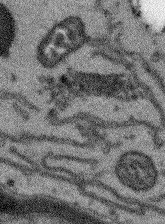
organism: Arabidopsis thaliana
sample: Root tip